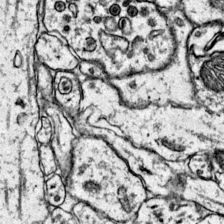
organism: Mouse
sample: Primary visual cortex